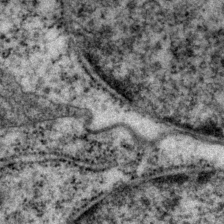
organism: P. pacificus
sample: Pharynx